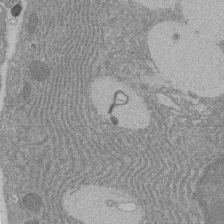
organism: Rat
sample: Salivary granule